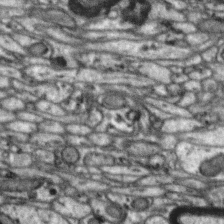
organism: Zebra finch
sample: Brain